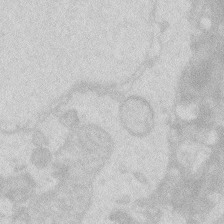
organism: Zebrafish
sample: Macrophage